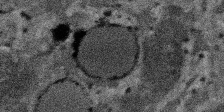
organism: Human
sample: Lung epithelial cells infected with SARS-CoV-2